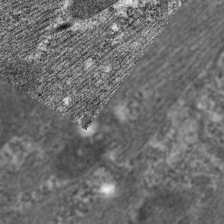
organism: C. elegans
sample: Pharynx